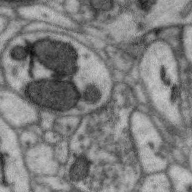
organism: Zebra finch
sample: Brain